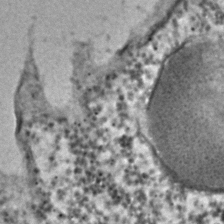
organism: C. elegans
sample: C. elegans embryo